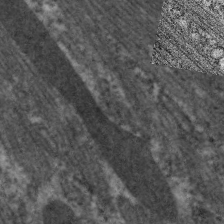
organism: C. elegans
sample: Pharynx